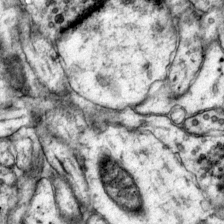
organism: Mouse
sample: Primary visual cortex